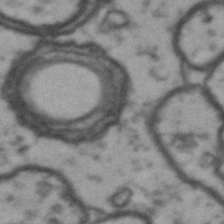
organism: Drosophila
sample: Brain